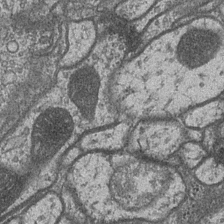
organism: Drosophila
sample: Optic medulla